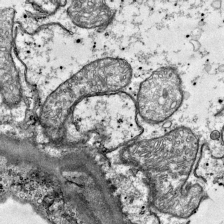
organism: Mouse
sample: Visual Cortex